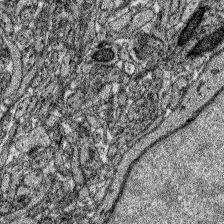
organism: Zebrafish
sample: Larval olfactory bulb